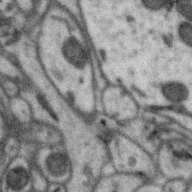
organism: Zebra finch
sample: Brain